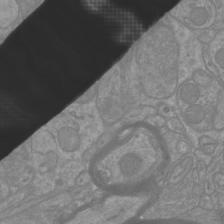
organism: Mouse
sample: Cortical neurons